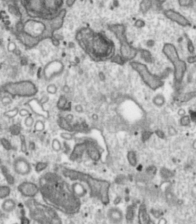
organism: Toxoplasma gondii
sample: Parasites in a vacuole inside a host cell